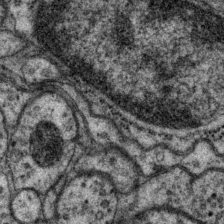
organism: P. pacificus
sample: Pharynx